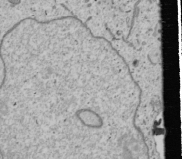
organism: Human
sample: Mitochondria in U2OS cells